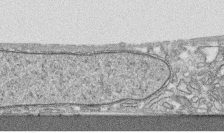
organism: Human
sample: CRL-1474